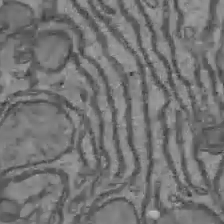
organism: C57BL Mouse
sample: Liver